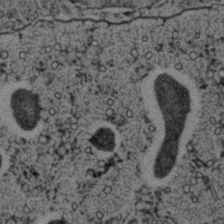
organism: C. elegans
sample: C. elegans embryo